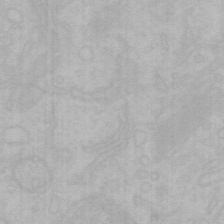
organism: Mouse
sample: Choroid plexus